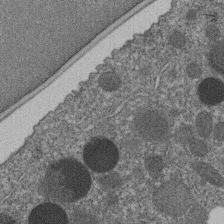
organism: C. elegans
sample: C. elegans embryo early stage